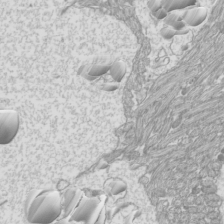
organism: Mouse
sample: Cilia; mouse epididymis